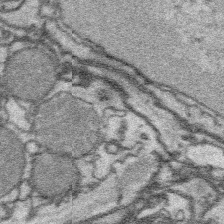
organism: Platynereis dumerilii